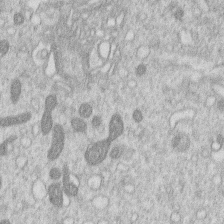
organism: Human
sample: Macrophage cells